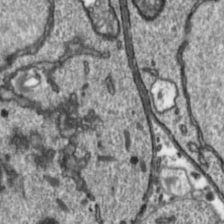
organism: Toxoplasma gondii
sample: Parasites in a vacuole inside a host cell